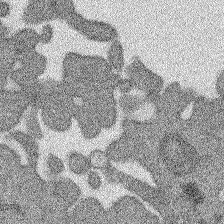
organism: Human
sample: HeLa cells